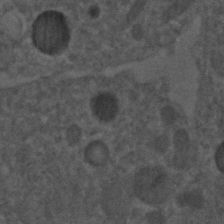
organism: C. elegans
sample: C. elegans embryo